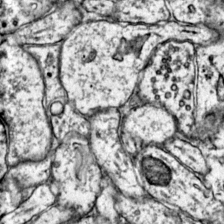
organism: Mouse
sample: Primary visual cortex